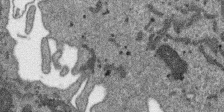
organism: Human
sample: Lung epithelial cells infected with SARS-CoV-2